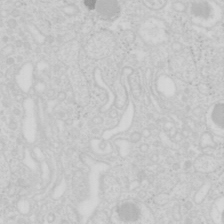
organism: Mouse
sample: Pancreas